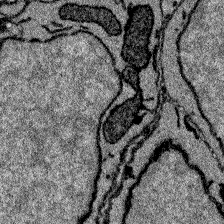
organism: Zebrafish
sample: Larval olfactory bulb